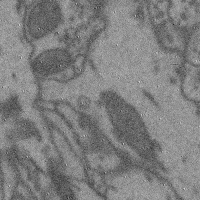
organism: Mouse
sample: Cerebral cortex